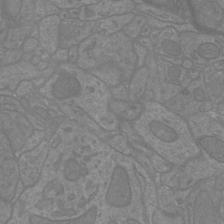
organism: Mouse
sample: Cortical neurons